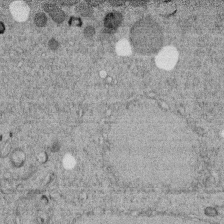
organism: C. elegans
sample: C. elegans embryo early stage